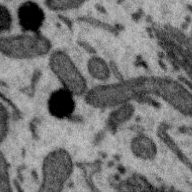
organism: Zebra finch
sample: Brain